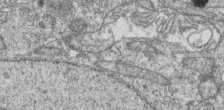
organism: Human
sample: HeLa cell HIV synapse